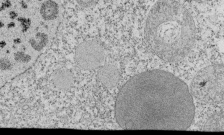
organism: Tetrahymena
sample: Cilia in tetrahymena